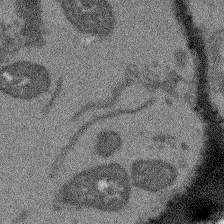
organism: Arabidopsis thaliana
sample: Root tip